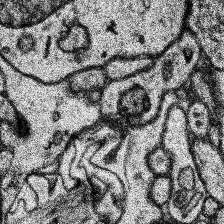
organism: Human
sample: Temporal Lobe